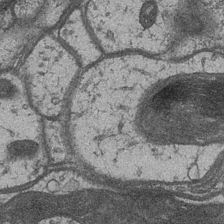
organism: Drosophila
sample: Optic medulla